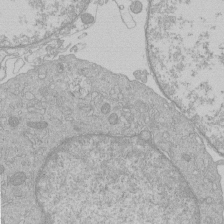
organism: Human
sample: Macrophage cells